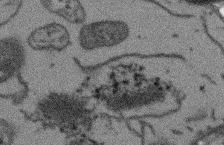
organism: Arabidopsis thaliana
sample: Root tip